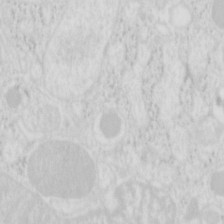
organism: Mouse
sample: Pancreas